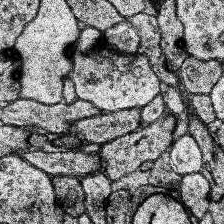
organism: Human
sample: Temporal Lobe